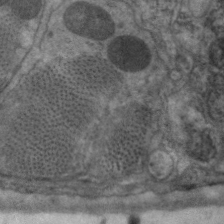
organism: C. elegans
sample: Pharynx